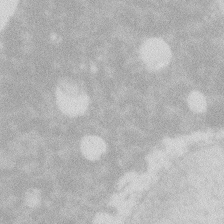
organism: Zebrafish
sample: Macrophage